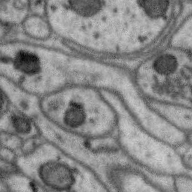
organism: Zebra finch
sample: Brain